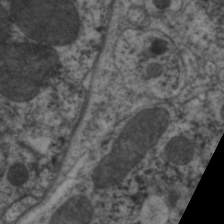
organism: C. elegans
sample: Pharynx